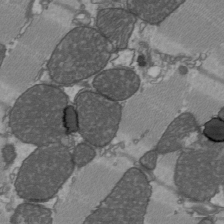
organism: C57BL Mouse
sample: Heart